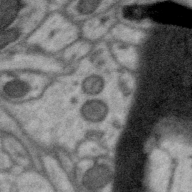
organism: Zebra finch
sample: Brain